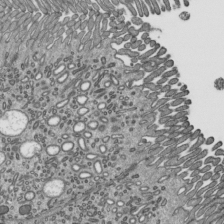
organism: Mouse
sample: Mouse epididymis efferent ductule cilia